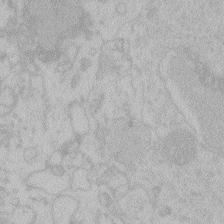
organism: Zebrafish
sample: Macrophage infected with Toxoplasma gondii